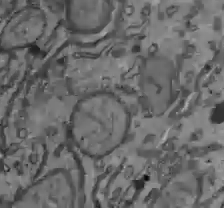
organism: C57BL Mouse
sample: Liver